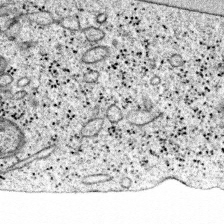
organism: Human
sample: HeLa cells